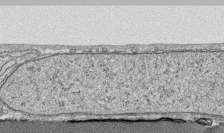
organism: Human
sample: CRL-1474